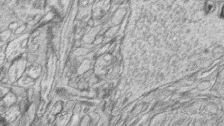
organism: Zebrafish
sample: synaptic ribbons in rod cells and cone cells